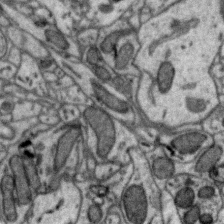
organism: Zebra finch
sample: Brain